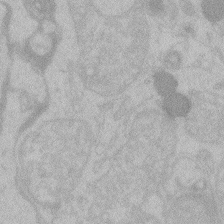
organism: Zebrafish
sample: Macrophage infected with Toxoplasma gondii